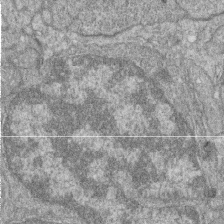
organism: Zebrafish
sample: Cilia; retinal pigment epithelium